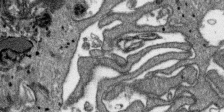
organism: Human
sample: Lung epithelial cells, uninfected (mock) control